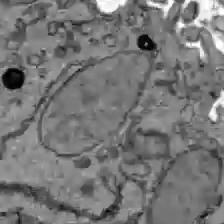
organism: C57BL Mouse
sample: Liver